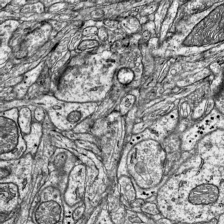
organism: Mouse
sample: Visual Cortex